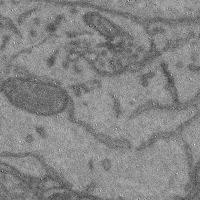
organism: Mouse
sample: Cerebral cortex